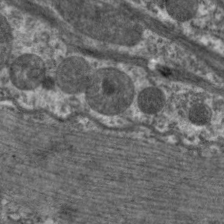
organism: C. elegans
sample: Pharynx